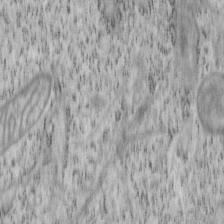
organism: Human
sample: HeLa cells